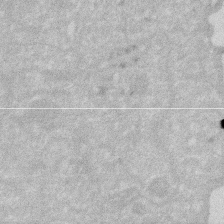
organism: Human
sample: HIV infected U937 cells